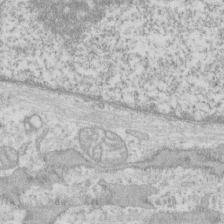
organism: Human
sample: CRL-1474